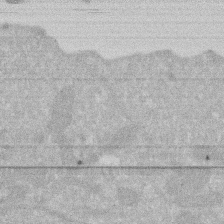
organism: Human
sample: HIV infected U937 cells